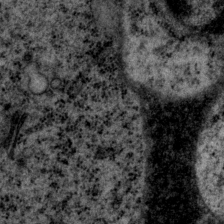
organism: P. pacificus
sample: Pharynx